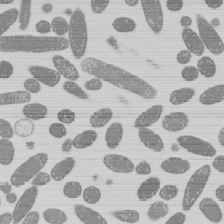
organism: E. coli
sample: Bacterial nucleoid